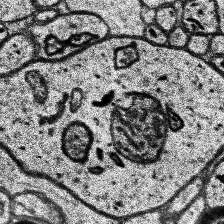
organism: Human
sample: Temporal Lobe